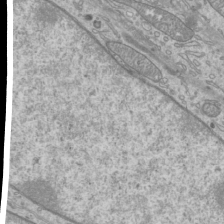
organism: Mouse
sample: Cilia; mouse epididymis